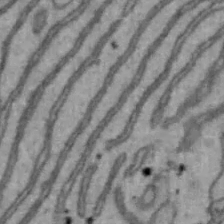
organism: Mouse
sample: Liver